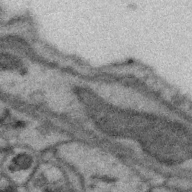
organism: Zebra finch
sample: Brain